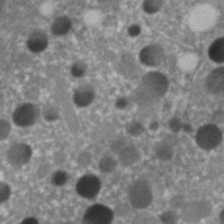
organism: C. elegans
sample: C. elegans embryo